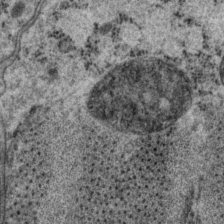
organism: P. pacificus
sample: Pharynx